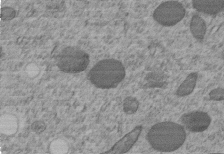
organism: C. elegans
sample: C. elegans embryo early stage